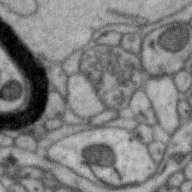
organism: Zebra finch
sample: Brain